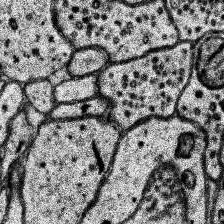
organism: Human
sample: Temporal Lobe